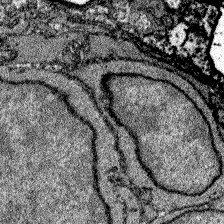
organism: Zebrafish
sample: Larval olfactory bulb